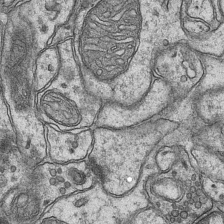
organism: Mouse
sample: CA1 Hippocampus